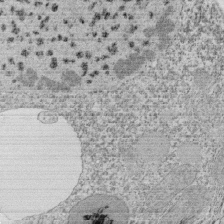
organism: Tetrahymena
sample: Cilia in tetrahymena